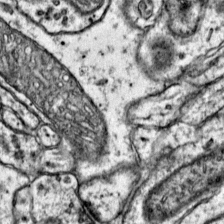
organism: Mouse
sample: Primary visual cortex